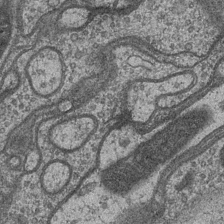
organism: Drosophila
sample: Optic medulla